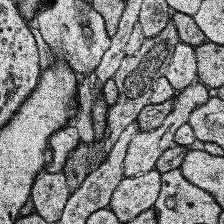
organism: Human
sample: Temporal Lobe